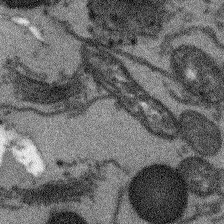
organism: Arabidopsis thaliana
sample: Root tip